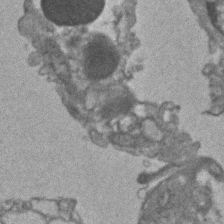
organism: Human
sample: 1205lu cells